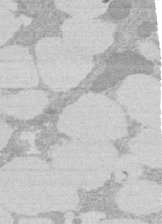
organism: Rat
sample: Salivary granule